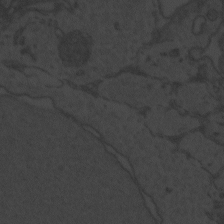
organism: Zebrafish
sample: Macrophage infected with Toxoplasma gondii